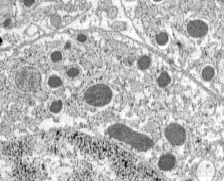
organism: C57BL Mouse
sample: Pancreatic islet